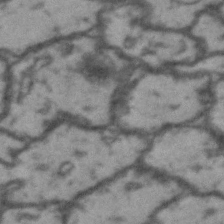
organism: Drosophila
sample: Brain